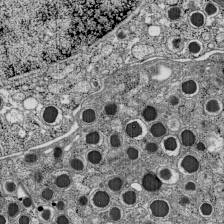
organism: C57BL Mouse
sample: Pancreatic islet